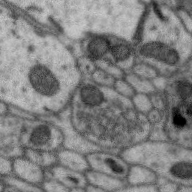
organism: Zebra finch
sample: Brain